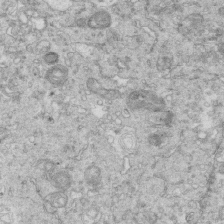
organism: Mouse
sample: Multiciliated cells